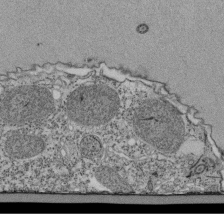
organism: Tetrahymena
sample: Cilia in tetrahymena